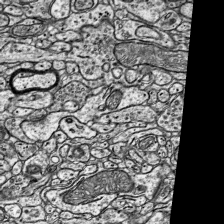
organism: Mouse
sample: Visual Cortex